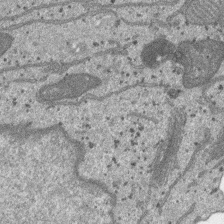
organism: Human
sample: Lung epithelial cells infected with SARS-CoV-2